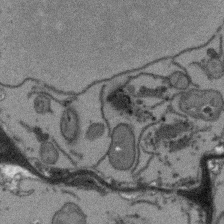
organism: Arabidopsis thaliana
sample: Root tip